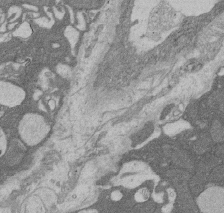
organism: Rat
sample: Salivary granule